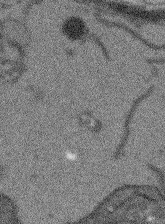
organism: Arabidopsis thaliana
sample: Root tip